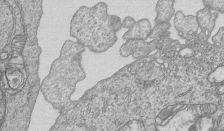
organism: Human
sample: MDA-MB-231 cells